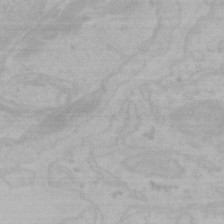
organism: Mouse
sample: Choroid plexus